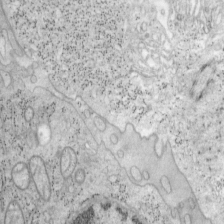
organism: Mouse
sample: OT-I killer T cells with ID8 ovarian cancer cells